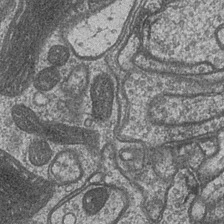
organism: Drosophila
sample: Optic medulla